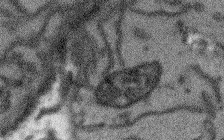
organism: Arabidopsis thaliana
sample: Root tip